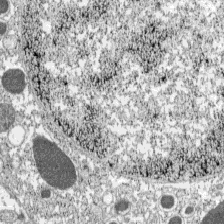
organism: C57BL Mouse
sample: Pancreatic islet